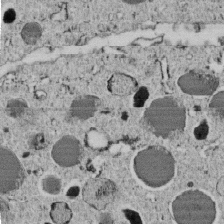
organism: C. elegans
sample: C. elegans embryo early stage